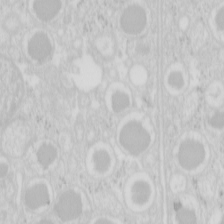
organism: Mouse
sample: Pancreas